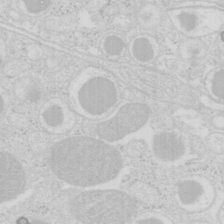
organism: Mouse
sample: Pancreas